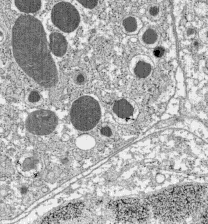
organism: C57BL Mouse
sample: Pancreatic islet